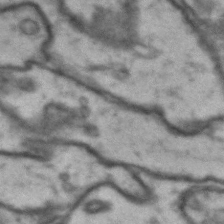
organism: Drosophila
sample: Brain